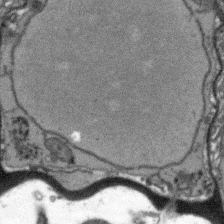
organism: Arabidopsis thaliana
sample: Root tip